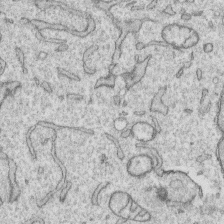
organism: Human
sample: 1205lu cells